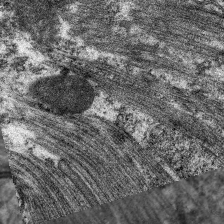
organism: C. elegans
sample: Pharynx